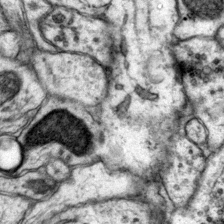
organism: Mouse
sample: Primary visual cortex